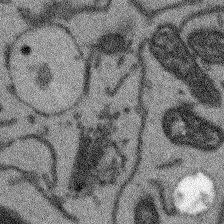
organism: Arabidopsis thaliana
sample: Root tip